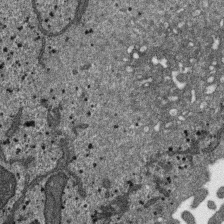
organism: Human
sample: Lung epithelial cells infected with SARS-CoV-2